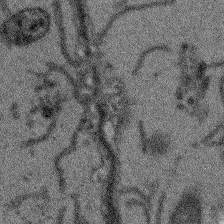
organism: Arabidopsis thaliana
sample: Root tip